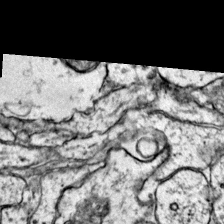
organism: Mouse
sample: Primary visual cortex